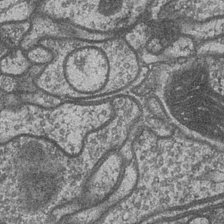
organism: Drosophila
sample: Optic medulla